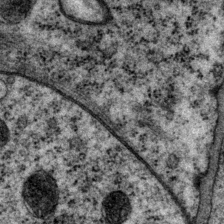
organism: P. pacificus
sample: Pharynx